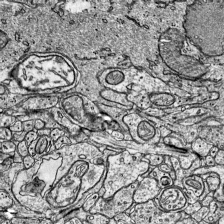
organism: Mouse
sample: Visual Cortex